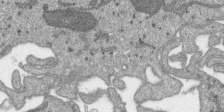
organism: Human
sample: Lung epithelial cells infected with SARS-CoV-2